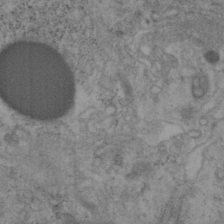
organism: Mouse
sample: OT-I killer T cells with ID8 ovarian cancer cells